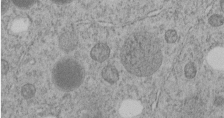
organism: C. elegans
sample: C. elegans embryo early stage